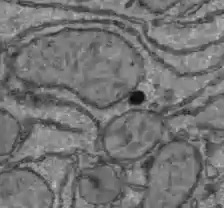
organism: C57BL Mouse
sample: Liver